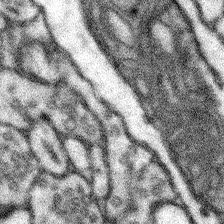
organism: Mouse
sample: Somatosensory cortex neuropil